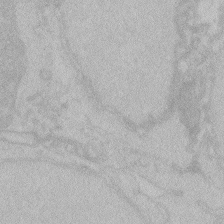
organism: Zebrafish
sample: Macrophage infected with Toxoplasma gondii